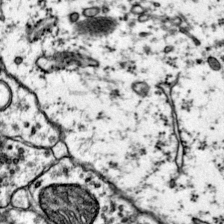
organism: Mouse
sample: Primary visual cortex